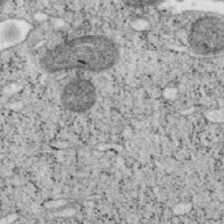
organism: Mouse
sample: OT-I killer T cells with ID8 ovarian cancer cells